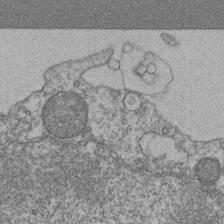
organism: Mouse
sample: T cell stromal cell synapse